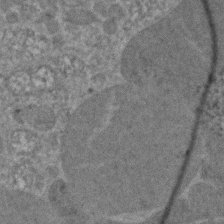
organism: Zebrafish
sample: Zebrafish embryo